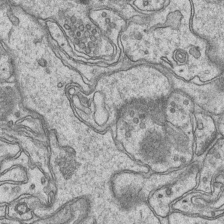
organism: Mouse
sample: CA1 Hippocampus